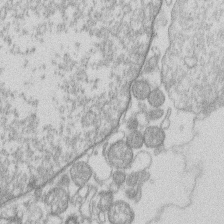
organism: Human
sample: Macrophage cells